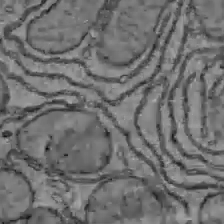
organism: C57BL Mouse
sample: Liver